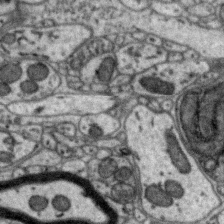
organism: Zebra finch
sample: Brain